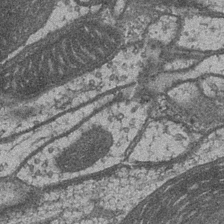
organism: Drosophila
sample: Optic medulla